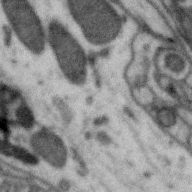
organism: Zebra finch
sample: Brain